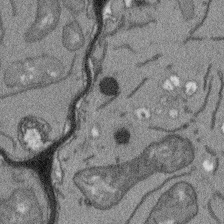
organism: Arabidopsis thaliana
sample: Root tip